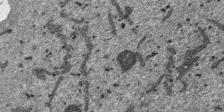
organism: Human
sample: Lung epithelial cells infected with SARS-CoV-2